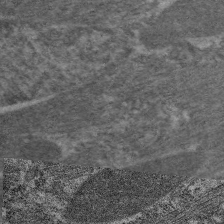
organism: C. elegans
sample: Pharynx